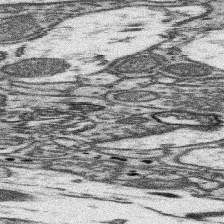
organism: Mouse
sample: Somatosensory cortex neuropil